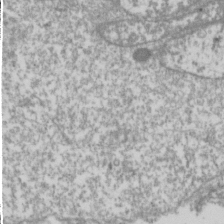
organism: Drosophila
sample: Cell division; meiosis; drosophila spermatocytes